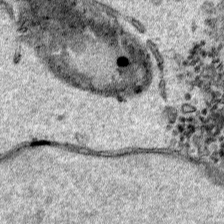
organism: Human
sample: Mitochondria in HCT116 cells